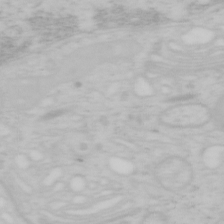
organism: Mouse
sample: OT-I killer T cells with ID8 ovarian cancer cells